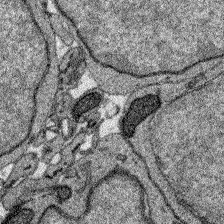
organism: Zebrafish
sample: Larval olfactory bulb